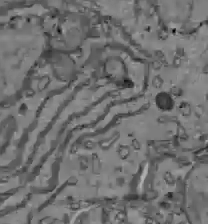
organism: C57BL Mouse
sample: Liver